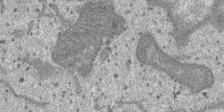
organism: Human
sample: Lung epithelial cells infected with SARS-CoV-2